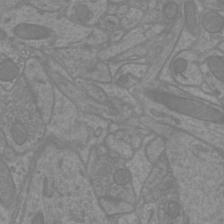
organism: Mouse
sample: Cortical neurons